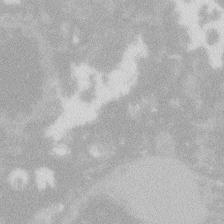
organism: Zebrafish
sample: Macrophage